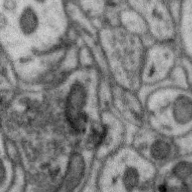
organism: Zebra finch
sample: Brain